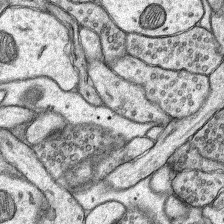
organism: Rat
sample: Hippocampus